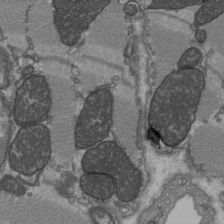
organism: C57BL Mouse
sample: Heart